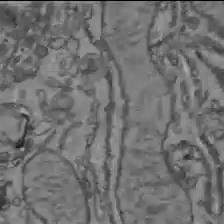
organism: C57BL Mouse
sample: Liver